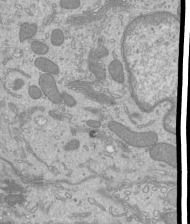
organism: Mouse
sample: Cilia; mouse epididymis